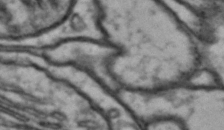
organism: Drosophila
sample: Brain